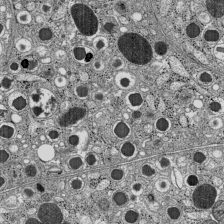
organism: C57BL Mouse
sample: Pancreatic islet